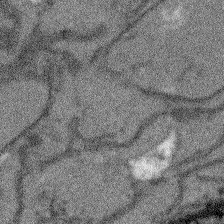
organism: Arabidopsis thaliana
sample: Root tip